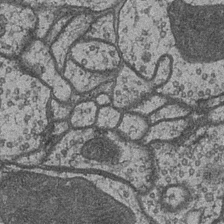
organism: Drosophila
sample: Optic medulla